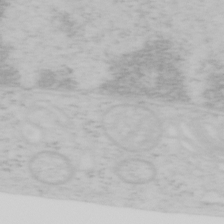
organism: Mouse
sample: OT-I killer T cells with ID8 ovarian cancer cells